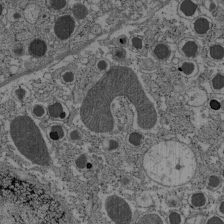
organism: C57BL Mouse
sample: Pancreatic islet